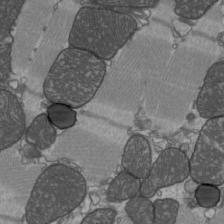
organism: C57BL Mouse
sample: Heart